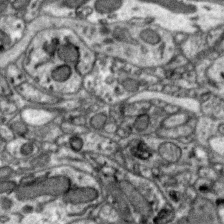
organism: Zebra finch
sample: Brain